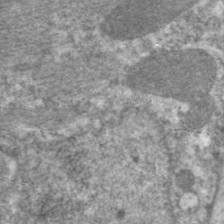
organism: C. elegans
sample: Pharynx